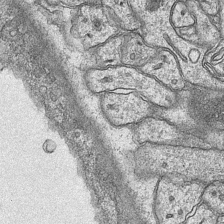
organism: Mouse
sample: CA1 Hippocampus